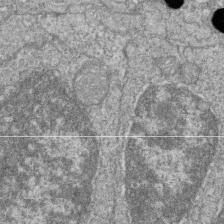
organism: Zebrafish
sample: Cilia; retinal pigment epithelium